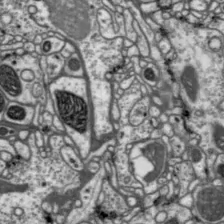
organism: Drosophila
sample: Protocerebral bridge